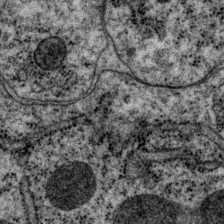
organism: P. pacificus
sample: Pharynx